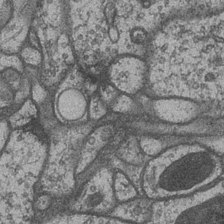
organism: Drosophila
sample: Optic medulla